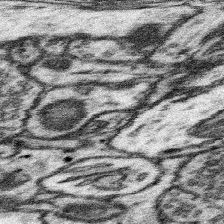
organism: Mouse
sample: Somatosensory cortex neuropil